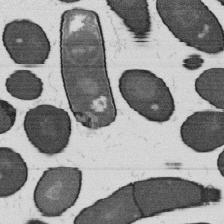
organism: B. subtilis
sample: Bacterial spore